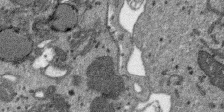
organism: Human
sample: Lung epithelial cells infected with SARS-CoV-2